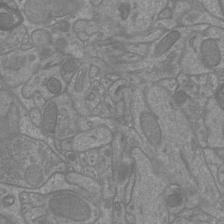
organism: Mouse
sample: Cortical neurons